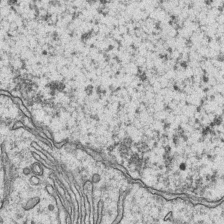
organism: Mouse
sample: CA1 Hippocampus